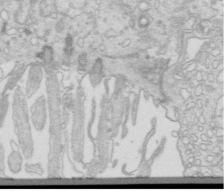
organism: Mouse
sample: Multiciliated cells